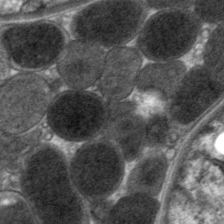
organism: C. elegans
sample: Pharynx